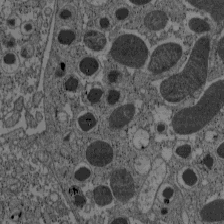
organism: C57BL Mouse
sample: Pancreatic islet